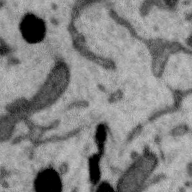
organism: Zebra finch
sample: Brain